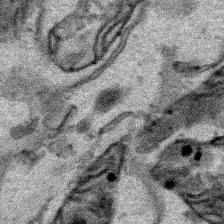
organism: Human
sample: Mitochondria in HCT116 cells